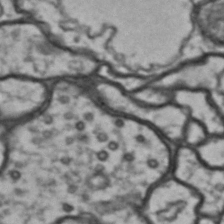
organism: Drosophila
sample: Brain